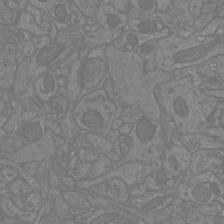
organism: Mouse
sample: Cortical neurons